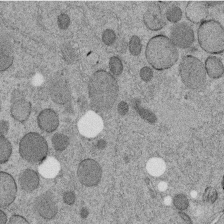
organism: C. elegans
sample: C. elegans embryo early stage